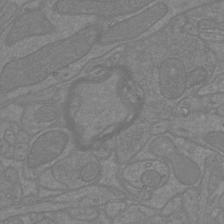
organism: Mouse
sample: Cortical neurons